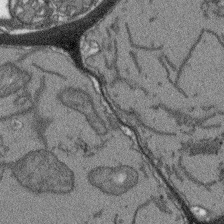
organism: Arabidopsis thaliana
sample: Root tip